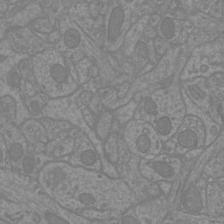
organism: Mouse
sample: Cortical neurons